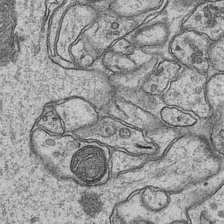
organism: Mouse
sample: CA1 Hippocampus